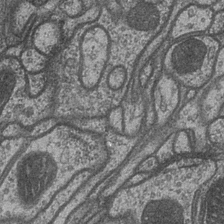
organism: Drosophila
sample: Optic medulla